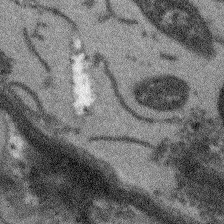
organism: Arabidopsis thaliana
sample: Root tip